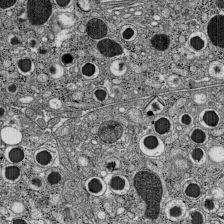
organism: C57BL Mouse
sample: Pancreatic islet